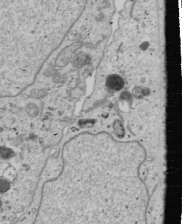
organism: Human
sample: Mitochondria in U2OS cells